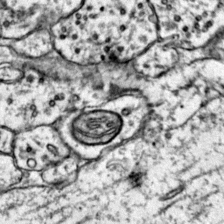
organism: Mouse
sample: Primary visual cortex